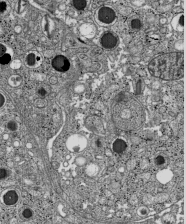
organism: C57BL Mouse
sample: Pancreatic islet